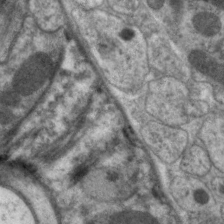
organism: C. elegans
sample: Pharynx